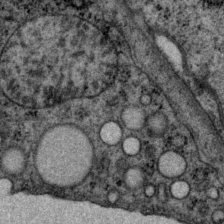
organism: P. pacificus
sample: Pharynx